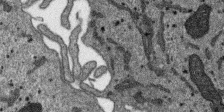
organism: Human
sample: Lung epithelial cells infected with SARS-CoV-2